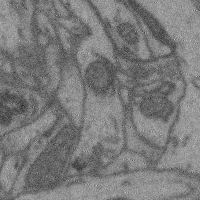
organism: Mouse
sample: Cerebral cortex